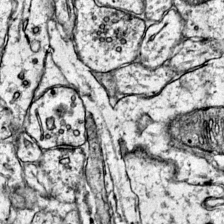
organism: Mouse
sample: Primary visual cortex